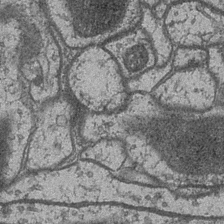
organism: Drosophila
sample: Optic medulla